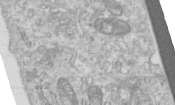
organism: Human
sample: Centriole in RPE cells